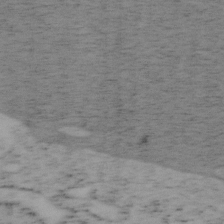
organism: Mouse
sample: OT-I killer T cells with ID8 ovarian cancer cells